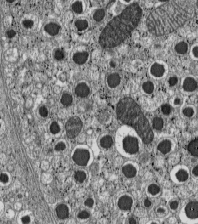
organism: C57BL Mouse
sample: Pancreatic islet